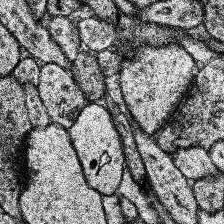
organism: Human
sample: Temporal Lobe